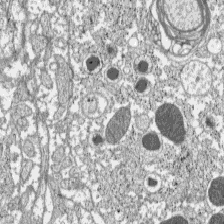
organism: C57BL Mouse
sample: Pancreatic islet